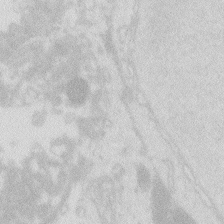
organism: Zebrafish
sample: Macrophage